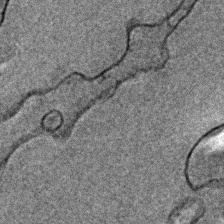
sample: Trachea